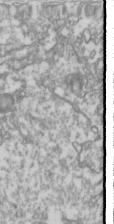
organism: Drosophila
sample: Cell division; meiosis; drosophila spermatocytes